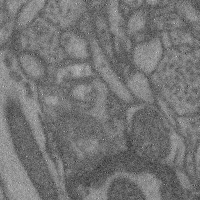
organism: Mouse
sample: Cerebral cortex